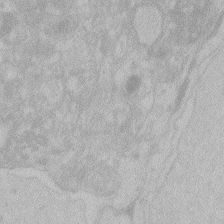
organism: Zebrafish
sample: Macrophage infected with Toxoplasma gondii